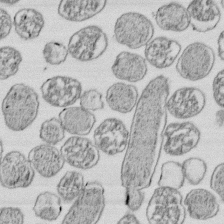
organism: E. coli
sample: Bacterial nucleoid